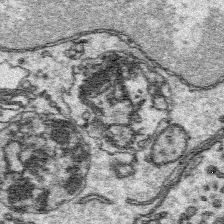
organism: Platynereis dumerilii